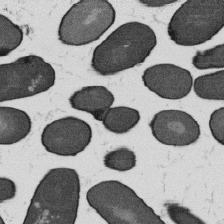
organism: B. subtilis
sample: Bacterial spore